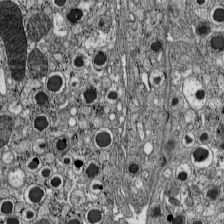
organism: C57BL Mouse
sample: Pancreatic islet